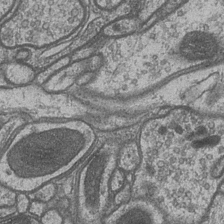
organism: Drosophila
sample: Optic medulla